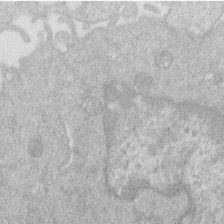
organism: Human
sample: Macrophage cells